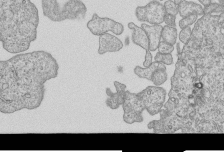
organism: Human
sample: MDA-MB-231 cells